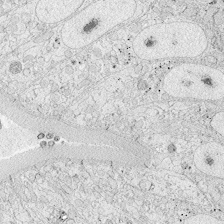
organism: Zebrafish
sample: Whole-Brain